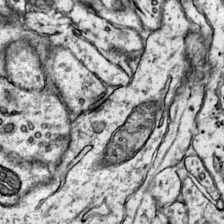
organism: Mouse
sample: Primary visual cortex